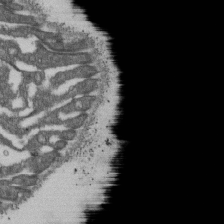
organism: Drosophila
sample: Nephrocyte